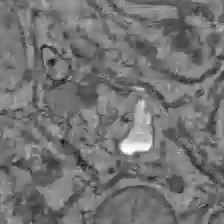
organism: C57BL Mouse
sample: Liver